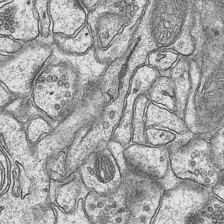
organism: Mouse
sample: CA1 Hippocampus